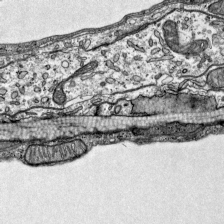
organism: Mouse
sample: Visual Cortex